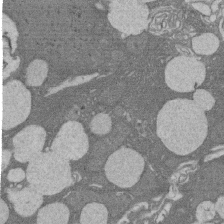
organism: Rat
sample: Salivary granule